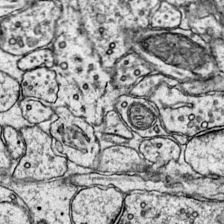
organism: Mouse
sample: Primary visual cortex